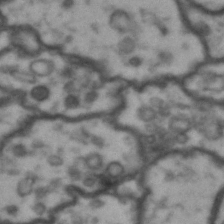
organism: Drosophila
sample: Brain